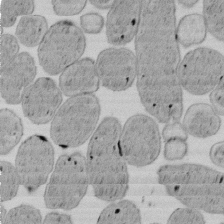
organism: E. coli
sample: Bacterial nucleoid